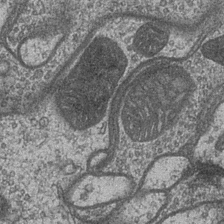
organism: Drosophila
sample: Optic medulla